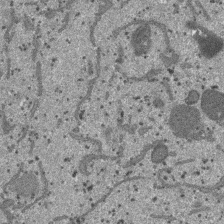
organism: Human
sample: Lung epithelial cells infected with SARS-CoV-2